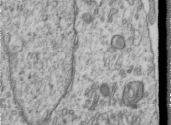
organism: Human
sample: Centriole in RPE cells